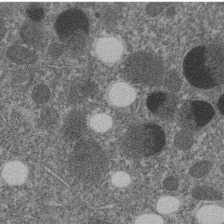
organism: C. elegans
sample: C. elegans embryo early stage